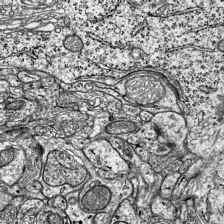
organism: Mouse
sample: Visual Cortex